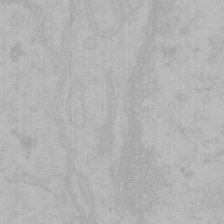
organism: Mouse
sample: Choroid plexus